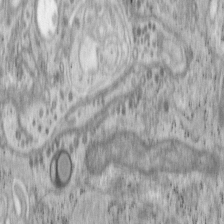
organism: Human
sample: HeLa cells